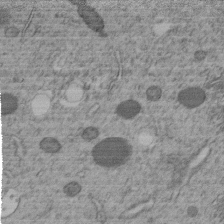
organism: C. elegans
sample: C. elegans embryo early stage